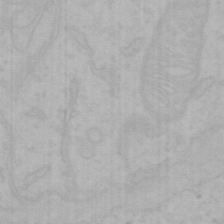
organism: Mouse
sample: Choroid plexus